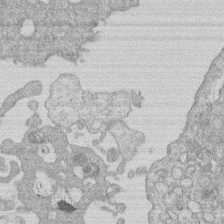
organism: Human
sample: Macrophage cells